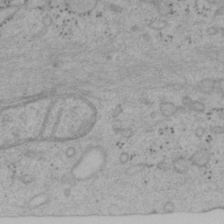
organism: Human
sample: HeLa cells